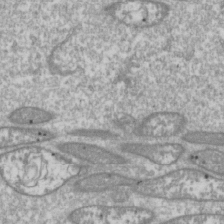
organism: Drosophila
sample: Cell division; meiosis; drosophila spermatocytes